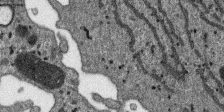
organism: Human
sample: Lung epithelial cells infected with SARS-CoV-2